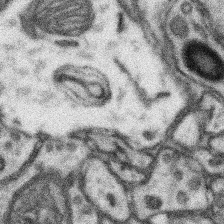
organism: Mouse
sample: Somatosensory cortex neuropil